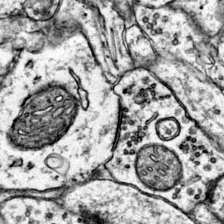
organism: Mouse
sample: Primary visual cortex